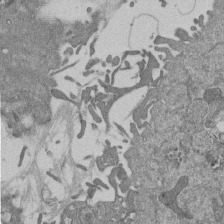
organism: Mouse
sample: ED-1 cell nuclei; centrioles